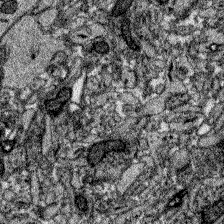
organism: Zebrafish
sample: Larval olfactory bulb